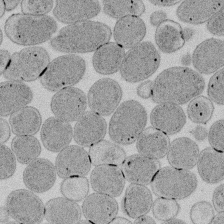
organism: E. coli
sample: Bacterial nucleoid